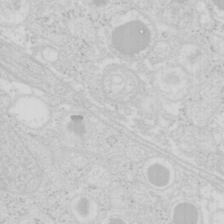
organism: Mouse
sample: Pancreas